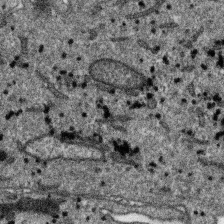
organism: Human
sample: Lung epithelial cells infected with SARS-CoV-2